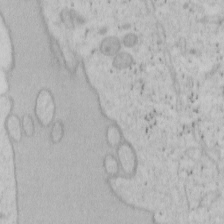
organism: Human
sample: HeLa cells